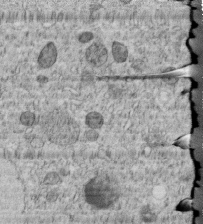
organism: C. elegans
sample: C. elegans embryo early stage